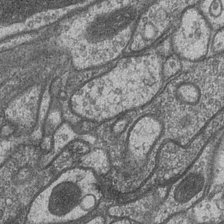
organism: Drosophila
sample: Optic medulla